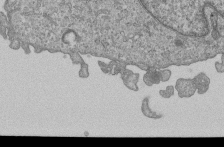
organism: Human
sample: MDA-MB-231 cells